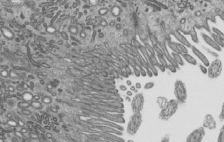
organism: Mouse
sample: Mouse epididymis efferent ductule cilia